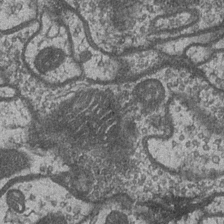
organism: Drosophila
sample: Optic medulla